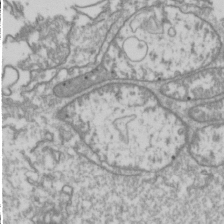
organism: Drosophila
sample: Cell division; meiosis; drosophila spermatocytes